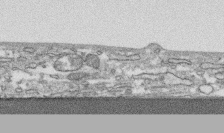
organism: Human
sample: CRL-1474